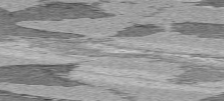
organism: C57BL Mouse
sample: Heart